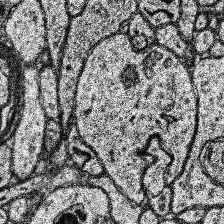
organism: Human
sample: Temporal Lobe